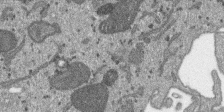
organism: Human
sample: Lung epithelial cells infected with SARS-CoV-2